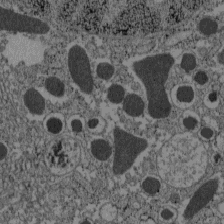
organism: C57BL Mouse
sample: Pancreatic islet